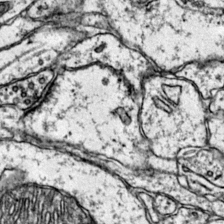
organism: Mouse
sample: Primary visual cortex